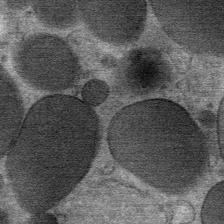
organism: Mouse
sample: Mouse Salivary gland